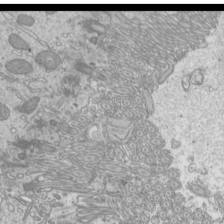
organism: Mouse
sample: Cilia; mouse epididymis